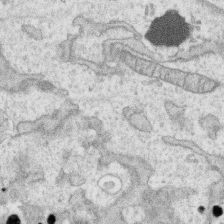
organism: Human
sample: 1205lu cells